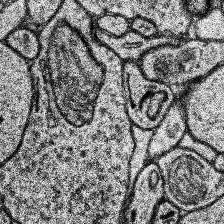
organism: Human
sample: Temporal Lobe